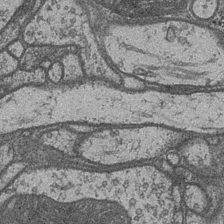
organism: Drosophila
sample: Optic medulla